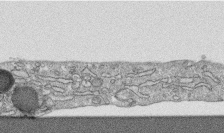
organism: Human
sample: CRL-1474